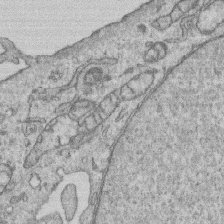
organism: Human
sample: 1205lu cells